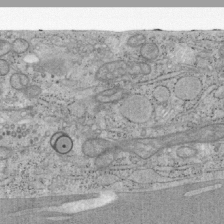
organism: Human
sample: HeLa cells